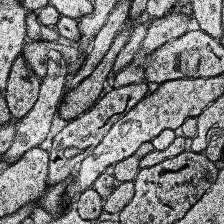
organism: Human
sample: Temporal Lobe